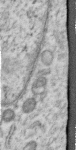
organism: Human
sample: Centriole in RPE cells